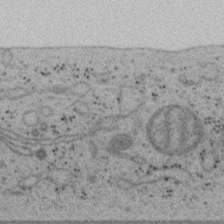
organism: Human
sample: HeLa cells